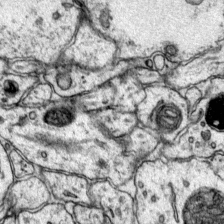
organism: Mouse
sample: Primary visual cortex